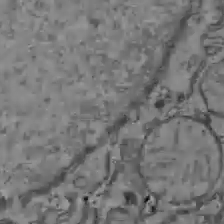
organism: C57BL Mouse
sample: Liver